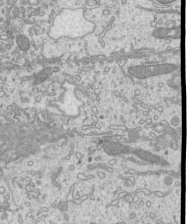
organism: Mouse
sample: Cilia; mouse epididymis